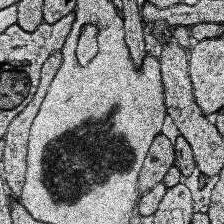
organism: Human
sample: Temporal Lobe